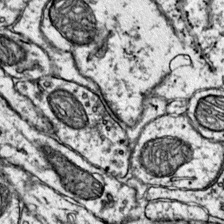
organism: Mouse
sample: Primary visual cortex